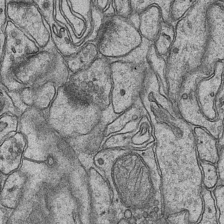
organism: Mouse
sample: CA1 Hippocampus